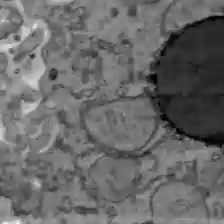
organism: C57BL Mouse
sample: Liver